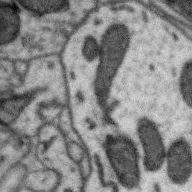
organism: Zebra finch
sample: Brain